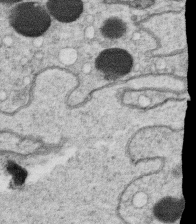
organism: C. elegans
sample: C. elegans oocyte; sperm cells